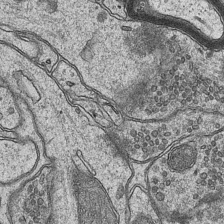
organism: Mouse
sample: CA1 Hippocampus